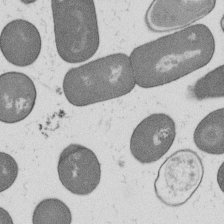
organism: B. subtilis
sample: Bacterial spore